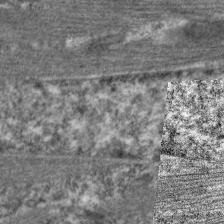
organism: C. elegans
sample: Pharynx